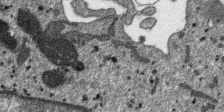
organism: Human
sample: Lung epithelial cells infected with SARS-CoV-2